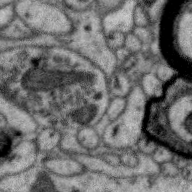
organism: Zebra finch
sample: Brain